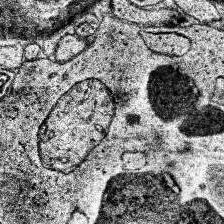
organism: Human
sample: Temporal Lobe